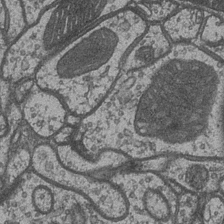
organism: Drosophila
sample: Optic medulla